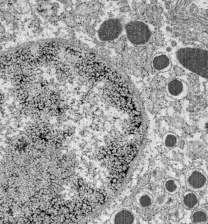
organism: C57BL Mouse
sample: Pancreatic islet